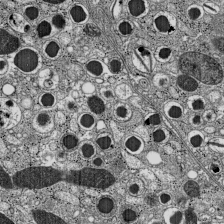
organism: C57BL Mouse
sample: Pancreatic islet